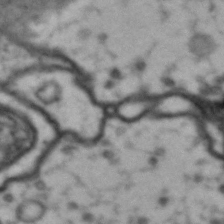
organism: Drosophila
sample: Brain